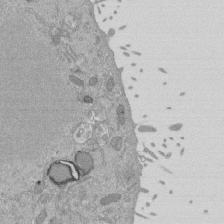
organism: Mouse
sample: ED-1 cell nuclei; centrioles